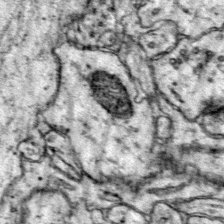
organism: Mouse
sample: Primary visual cortex